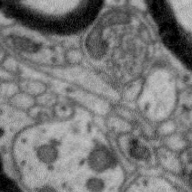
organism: Zebra finch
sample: Brain